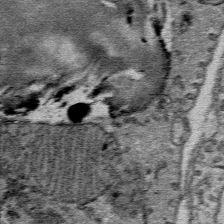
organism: Mouse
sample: Mouse Salivary gland